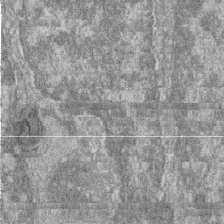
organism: Zebrafish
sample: Cilia; retinal pigment epithelium